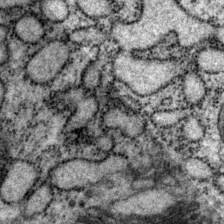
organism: P. pacificus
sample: Pharynx